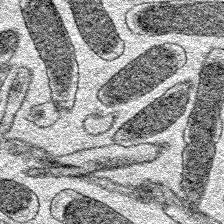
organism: E. coli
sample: E. Coli Bacteria